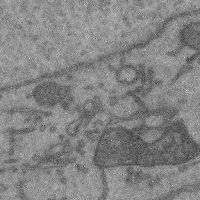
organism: Mouse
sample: Cerebral cortex